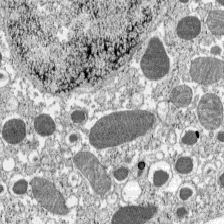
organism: C57BL Mouse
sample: Pancreatic islet